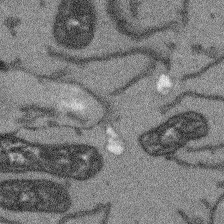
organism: Arabidopsis thaliana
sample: Root tip